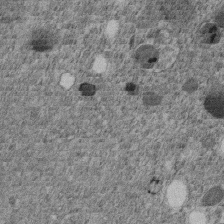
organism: C. elegans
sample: C. elegans embryo early stage